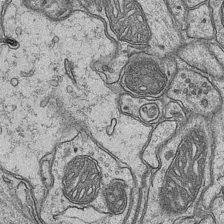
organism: Mouse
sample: CA1 Hippocampus